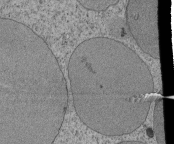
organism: Tetrahymena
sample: Cilia in tetrahymena